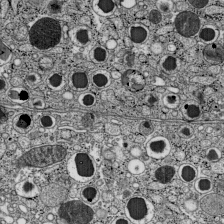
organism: C57BL Mouse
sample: Pancreatic islet